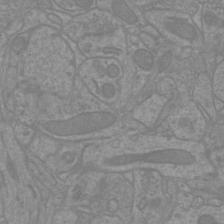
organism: Mouse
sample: Cortical neurons